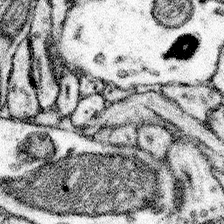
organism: Mouse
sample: Somatosensory cortex neuropil